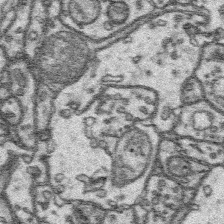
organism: Platynereis dumerilii